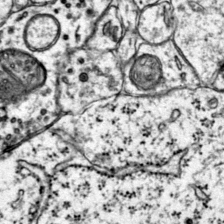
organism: Mouse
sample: Primary visual cortex